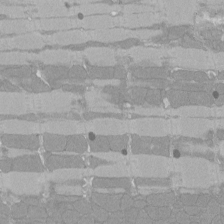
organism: Rat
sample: Left ventricle